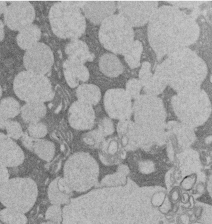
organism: Rat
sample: Salivary granule